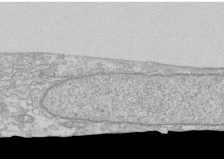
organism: Human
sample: CRL-1474